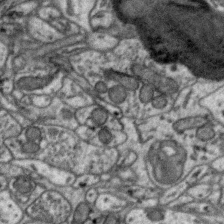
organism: Zebra finch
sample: Brain